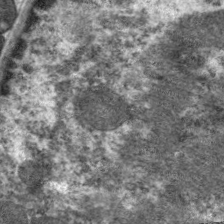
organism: C. elegans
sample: Pharynx